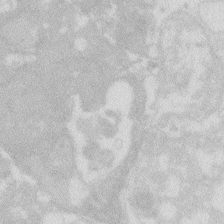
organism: Zebrafish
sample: Macrophage